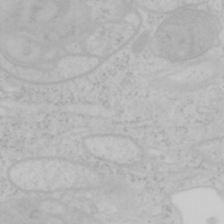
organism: Mouse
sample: OT-I killer T cells with ID8 ovarian cancer cells